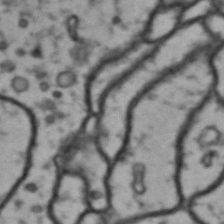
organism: Drosophila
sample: Brain